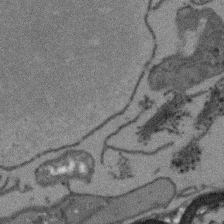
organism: Arabidopsis thaliana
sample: Root tip